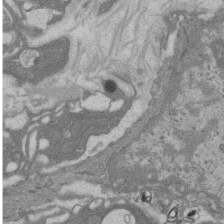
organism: Rat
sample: Salivary granule